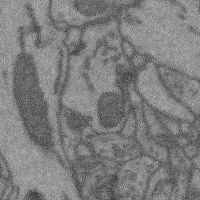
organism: Mouse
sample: Cerebral cortex